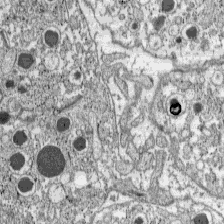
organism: C57BL Mouse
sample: Pancreatic islet